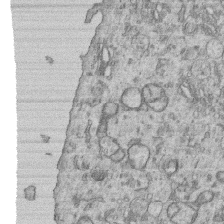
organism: Human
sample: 1205lu cells